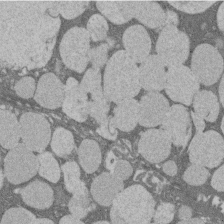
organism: Rat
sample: Salivary granule